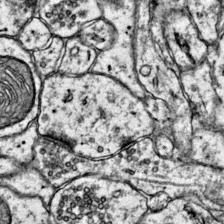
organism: Mouse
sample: Primary visual cortex